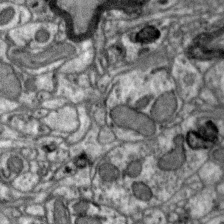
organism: Zebra finch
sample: Brain